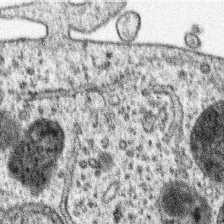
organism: Human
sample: HeLa cells